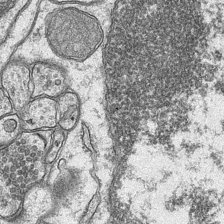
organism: Mouse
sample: CA1 Hippocampus